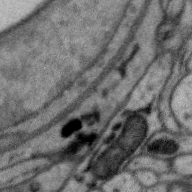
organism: Zebra finch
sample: Brain